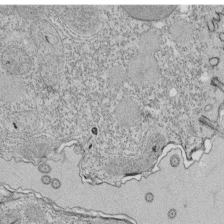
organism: Tetrahymena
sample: Cilia in tetrahymena